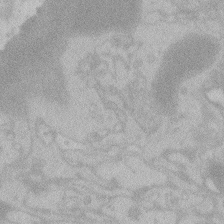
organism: Zebrafish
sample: Macrophage infected with Toxoplasma gondii